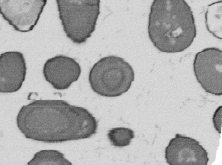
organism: B. subtilis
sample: Bacterial spore